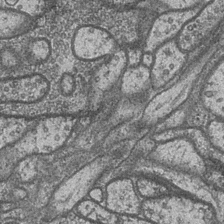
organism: Drosophila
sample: Optic medulla